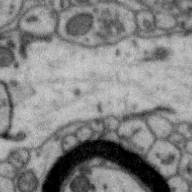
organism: Zebra finch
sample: Brain